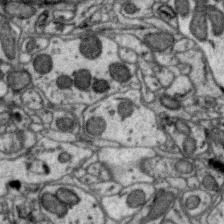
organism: Zebra finch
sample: Brain